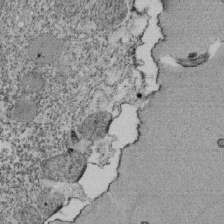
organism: Tetrahymena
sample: Cilia in tetrahymena